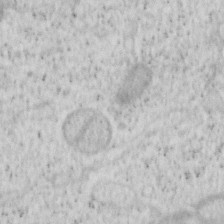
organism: Human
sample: HeLa cells